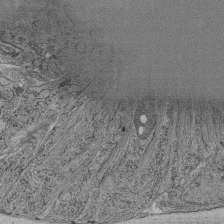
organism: C. elegans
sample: C. elegans pharynx